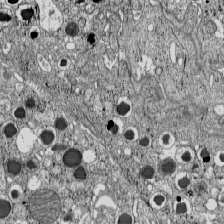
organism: C57BL Mouse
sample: Pancreatic islet